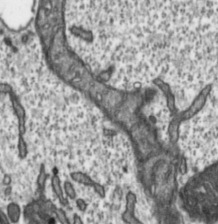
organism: Toxoplasma gondii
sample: Parasites in a vacuole inside a host cell